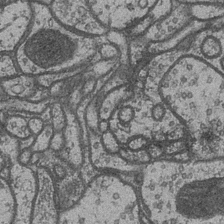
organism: Drosophila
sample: Optic medulla